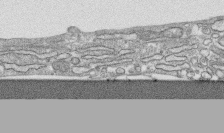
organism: Human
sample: CRL-1474